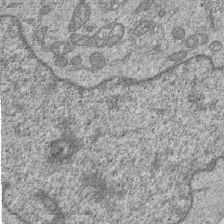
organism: Human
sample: MDA-MB-231 cells